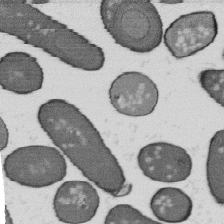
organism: B. subtilis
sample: Bacterial spore